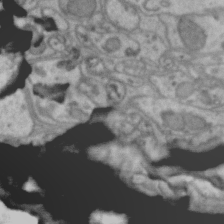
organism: Zebra finch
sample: Brain